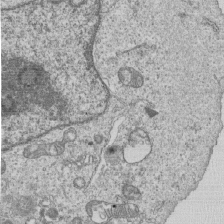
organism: Human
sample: MDA-MB-231 cells